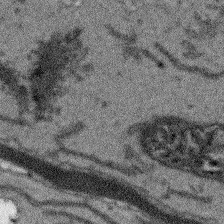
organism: Arabidopsis thaliana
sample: Root tip